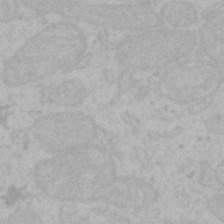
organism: Mouse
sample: Choroid plexus